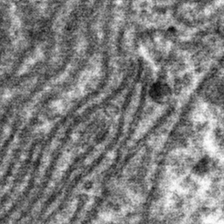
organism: Mouse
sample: Mouse hepatocytes